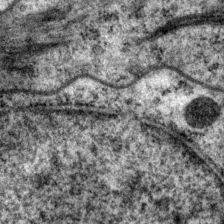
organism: P. pacificus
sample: Pharynx